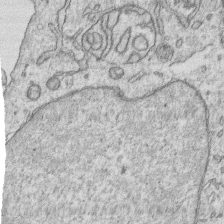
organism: Human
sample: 1205lu cells